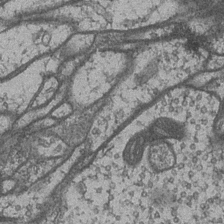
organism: Drosophila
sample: Optic medulla